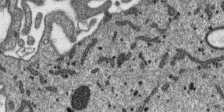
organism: Human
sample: Lung epithelial cells infected with SARS-CoV-2